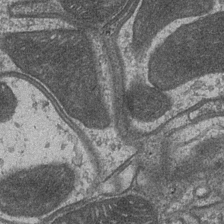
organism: Drosophila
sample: Optic medulla